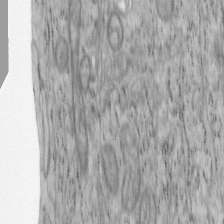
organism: Human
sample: HeLa cells